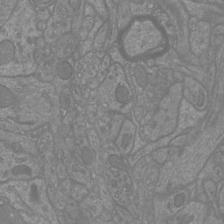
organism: Mouse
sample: Cortical neurons